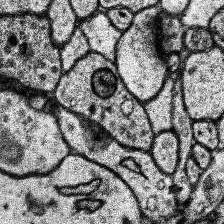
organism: Human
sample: Temporal Lobe